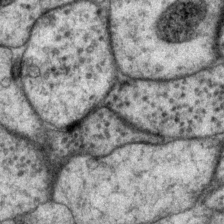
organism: P. pacificus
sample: Pharynx